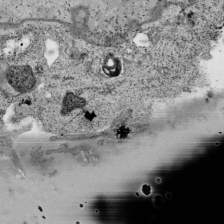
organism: Human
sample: Mitochondria in HCT116 cells